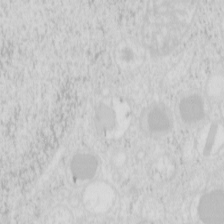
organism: Mouse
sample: Pancreas